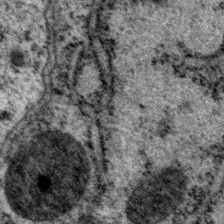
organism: P. pacificus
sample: Pharynx